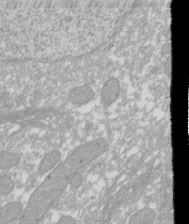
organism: Xenopus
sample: Cilia; centrioles in frog embryo cells